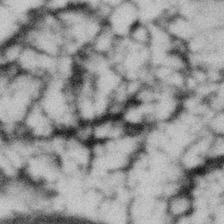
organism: Gemmata obscuriglobus